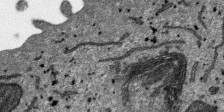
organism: Human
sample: Lung epithelial cells, uninfected (mock) control